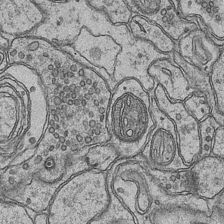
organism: Mouse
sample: CA1 Hippocampus